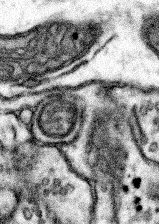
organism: Mouse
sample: Somatosensory cortex neuropil